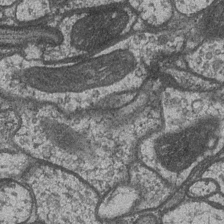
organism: Drosophila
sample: Optic medulla